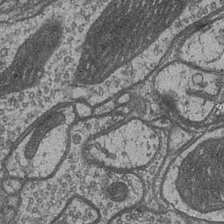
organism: Drosophila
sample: Optic medulla